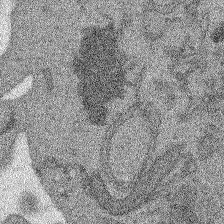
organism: Human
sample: HeLa cells